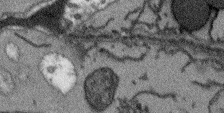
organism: Arabidopsis thaliana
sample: Root tip